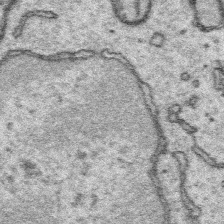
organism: Platynereis dumerilii